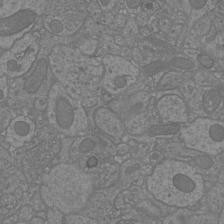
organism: Mouse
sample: Cortical neurons